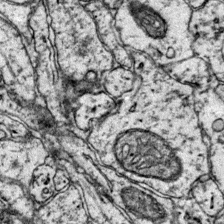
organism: Mouse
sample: Primary visual cortex